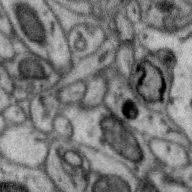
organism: Zebra finch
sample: Brain